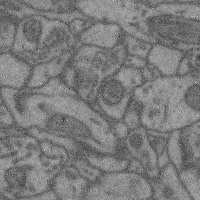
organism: Mouse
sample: Cerebral cortex